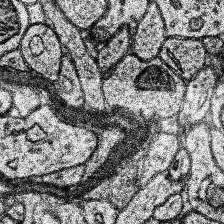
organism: Human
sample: Temporal Lobe